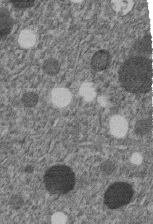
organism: C. elegans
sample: C. elegans embryo early stage